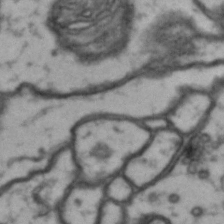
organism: Drosophila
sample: Brain